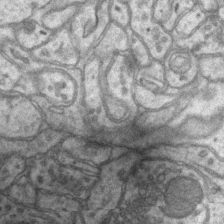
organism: Mouse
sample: CA1 Hippocampus